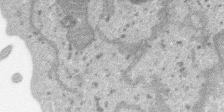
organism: Human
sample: Lung epithelial cells infected with SARS-CoV-2